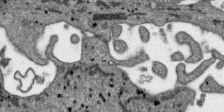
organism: Human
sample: Lung epithelial cells, uninfected (mock) control